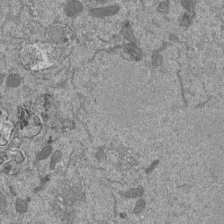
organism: Mouse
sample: ED-1 cell nuclei; centrioles